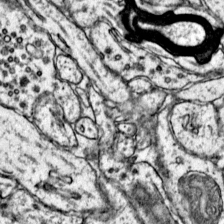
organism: Mouse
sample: Primary visual cortex